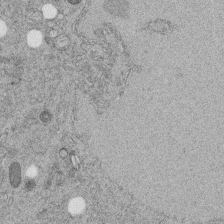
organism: C. elegans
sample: C. elegans embryo early stage